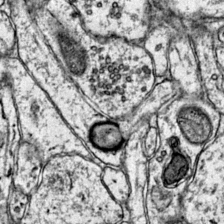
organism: Mouse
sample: Primary visual cortex